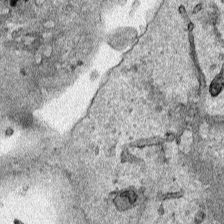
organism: Human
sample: Mitochondria in HCT116 cells